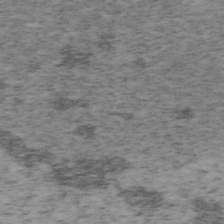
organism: Mouse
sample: OT-I killer T cells with ID8 ovarian cancer cells